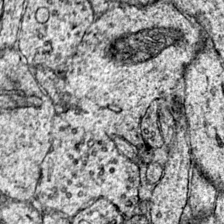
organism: Mouse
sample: Primary visual cortex